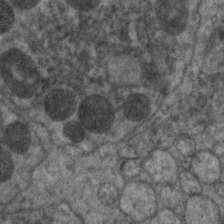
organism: C. elegans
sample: Pharynx